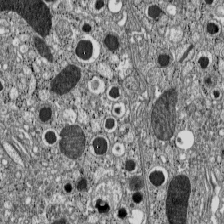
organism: C57BL Mouse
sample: Pancreatic islet